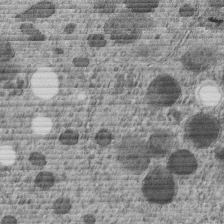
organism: C. elegans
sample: C. elegans embryo early stage